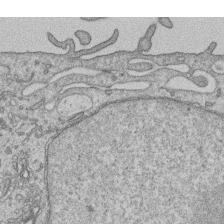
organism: Human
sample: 1205lu cells